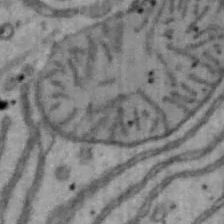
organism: Mouse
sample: Liver